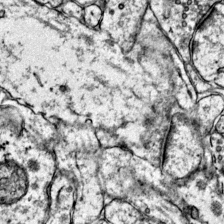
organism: Mouse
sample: Primary visual cortex